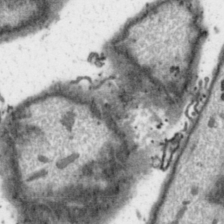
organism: Toxoplasma gondii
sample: Parasites in a vacuole inside a host cell